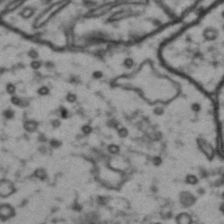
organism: Drosophila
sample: Brain